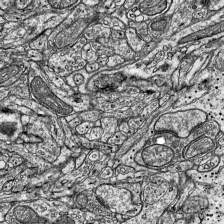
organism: Mouse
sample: Visual Cortex